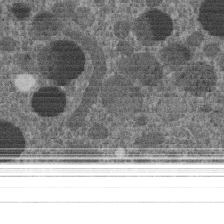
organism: C. elegans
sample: C. elegans embryo early stage